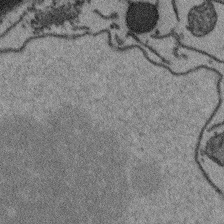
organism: Arabidopsis thaliana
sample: Root tip